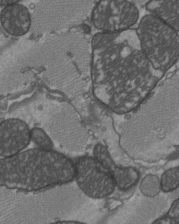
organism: C57BL Mouse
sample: Heart